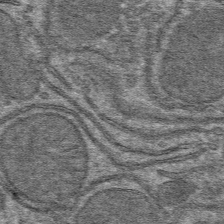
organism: Mouse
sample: Mouse hepatocytes